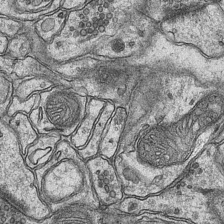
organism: Mouse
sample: CA1 Hippocampus